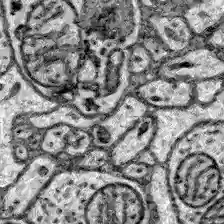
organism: Zebrafish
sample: Brain